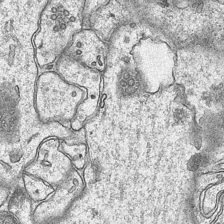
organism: Mouse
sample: CA1 Hippocampus